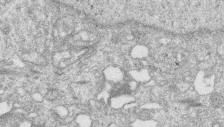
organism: Human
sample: HeLa cell HIV synapse